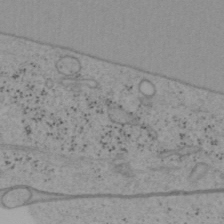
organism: Human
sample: HeLa cells